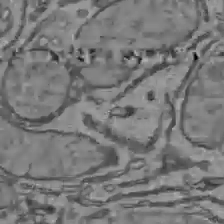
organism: C57BL Mouse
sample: Liver